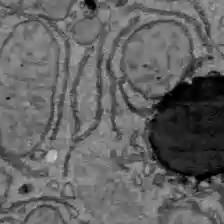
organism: C57BL Mouse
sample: Liver